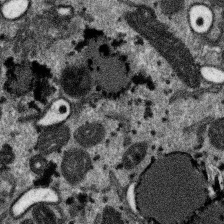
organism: Human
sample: Lung epithelial cells infected with SARS-CoV-2